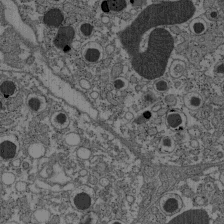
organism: C57BL Mouse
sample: Pancreatic islet